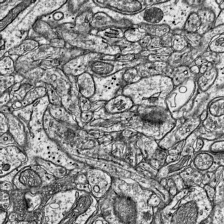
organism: Mouse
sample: Visual Cortex